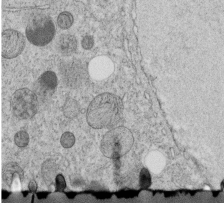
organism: C. elegans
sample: C. elegans embryo early stage